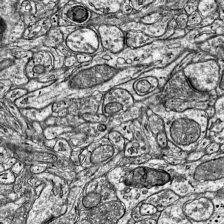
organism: Mouse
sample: Visual Cortex